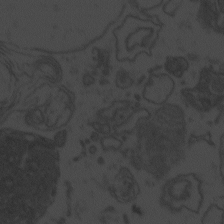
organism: Zebrafish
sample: Macrophage infected with Toxoplasma gondii